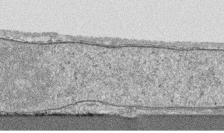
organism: Human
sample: CRL-1474